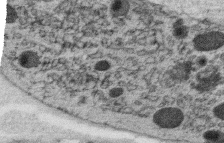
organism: C. elegans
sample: C. elegans oocyte; sperm cells